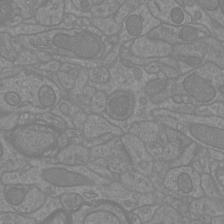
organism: Mouse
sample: Cortical neurons